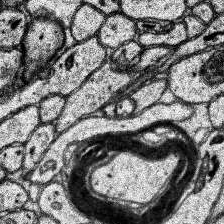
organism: Human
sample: Temporal Lobe